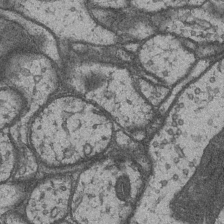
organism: Drosophila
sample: Optic medulla